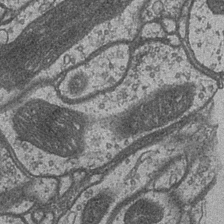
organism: Drosophila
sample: Optic medulla